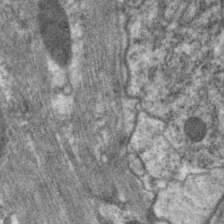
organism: C. elegans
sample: Pharynx